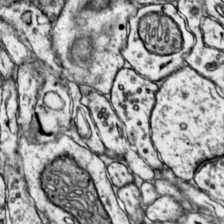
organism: Mouse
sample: Primary visual cortex